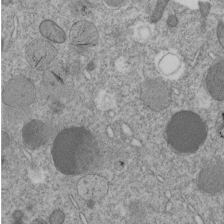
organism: C. elegans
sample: C. elegans embryo early stage